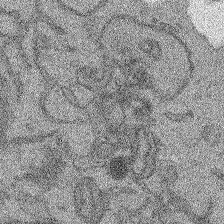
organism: Human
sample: HeLa cells